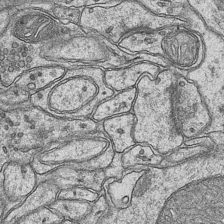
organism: Mouse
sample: CA1 Hippocampus